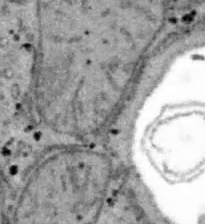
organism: Mouse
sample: Liver from an obese (ob/ob) mouse